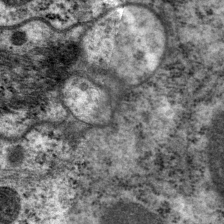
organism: P. pacificus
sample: Pharynx